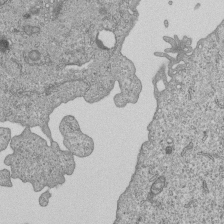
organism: Human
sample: MDA-MB-231 cells